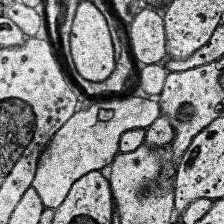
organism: Human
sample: Temporal Lobe